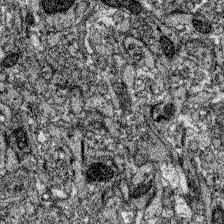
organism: Zebrafish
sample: Larval olfactory bulb